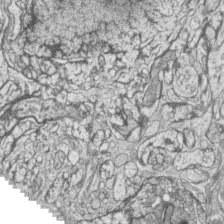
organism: Zebrafish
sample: synaptic ribbons in rod cells and cone cells